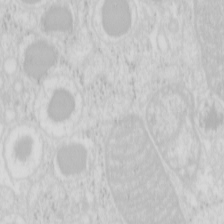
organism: Mouse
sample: Pancreas